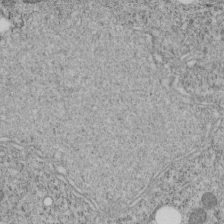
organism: C. elegans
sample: C. elegans embryo early stage